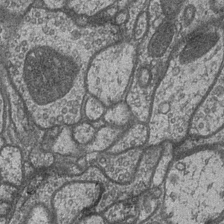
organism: Drosophila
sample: Optic medulla